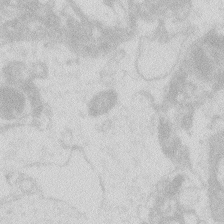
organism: Zebrafish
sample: Macrophage